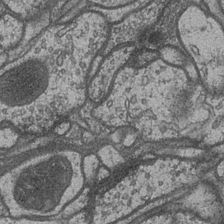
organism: Drosophila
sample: Optic medulla